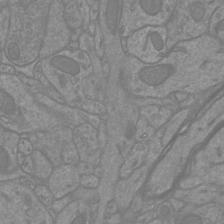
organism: Mouse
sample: Cortical neurons